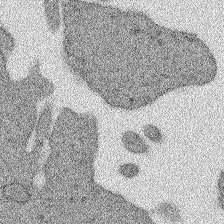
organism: Human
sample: HeLa cells